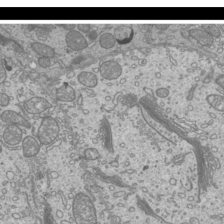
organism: Mouse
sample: Cilia; mouse epididymis